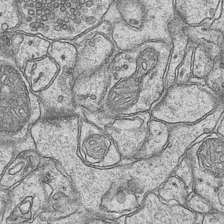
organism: Mouse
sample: CA1 Hippocampus